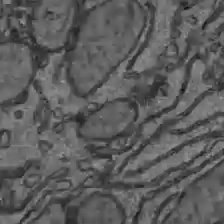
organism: C57BL Mouse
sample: Liver